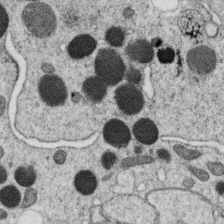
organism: C. elegans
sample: C. elegans oocyte; sperm cells